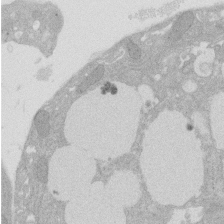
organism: Rat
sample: Salivary granule